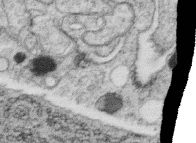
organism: C. elegans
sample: C. elegans oocyte; sperm cells